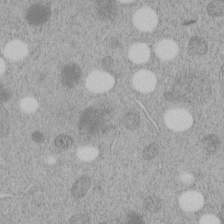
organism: C. elegans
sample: C. elegans embryo early stage